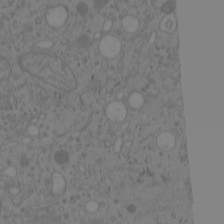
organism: Human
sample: HeLa cells